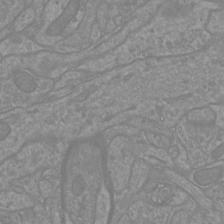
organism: Mouse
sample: Cortical neurons